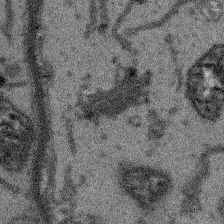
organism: Arabidopsis thaliana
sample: Root tip